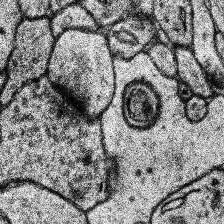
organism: Human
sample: Temporal Lobe